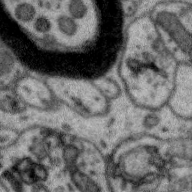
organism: Zebra finch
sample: Brain